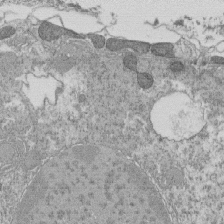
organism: Tetrahymena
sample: Cilia in tetrahymena